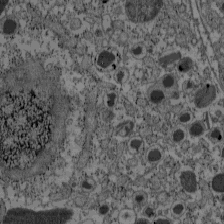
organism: C57BL Mouse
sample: Pancreatic islet